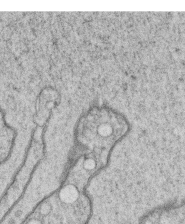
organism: C. elegans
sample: C. elegans oocyte; sperm cells